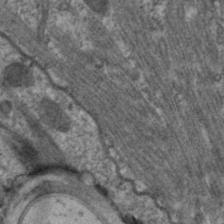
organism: C. elegans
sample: Pharynx